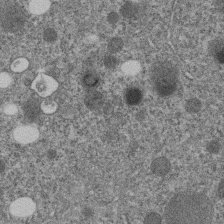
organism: C. elegans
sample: C. elegans embryo early stage